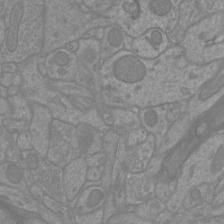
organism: Mouse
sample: Cortical neurons